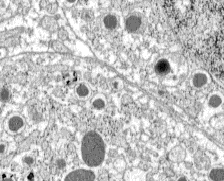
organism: C57BL Mouse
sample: Pancreatic islet